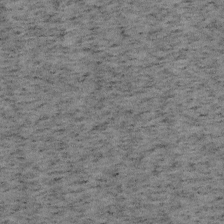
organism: Mouse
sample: OT-I killer T cells with ID8 ovarian cancer cells